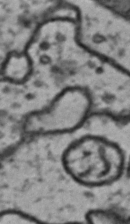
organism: Drosophila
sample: Brain